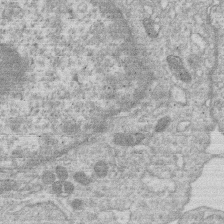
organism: Human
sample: Macrophage cells